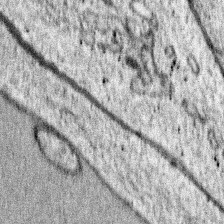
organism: Human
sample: HeLa cells